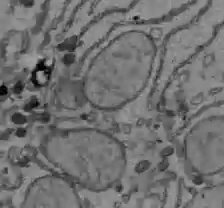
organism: C57BL Mouse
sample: Liver